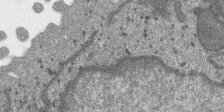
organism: Human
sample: Lung epithelial cells infected with SARS-CoV-2